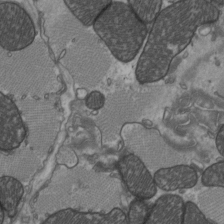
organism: C57BL Mouse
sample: Heart